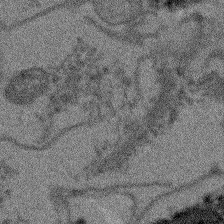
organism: Arabidopsis thaliana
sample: Root tip